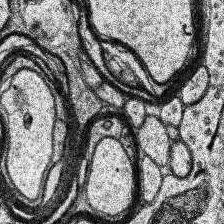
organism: Human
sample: Temporal Lobe